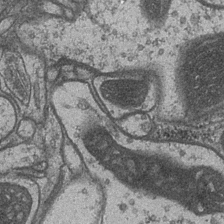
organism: Drosophila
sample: Optic medulla